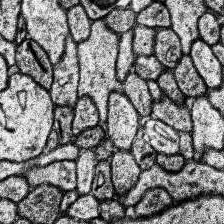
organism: Human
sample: Temporal Lobe